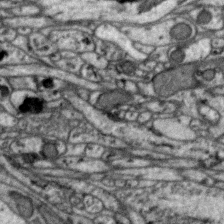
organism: Zebra finch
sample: Brain